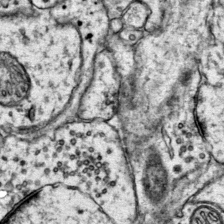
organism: Mouse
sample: Primary visual cortex